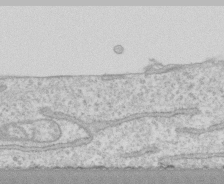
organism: Human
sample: CRL-1474